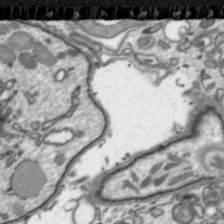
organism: Toxoplasma gondii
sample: Parasites in a vacuole inside a host cell